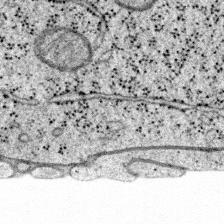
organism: Human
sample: HeLa cells